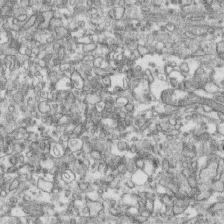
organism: Human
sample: CRL-1474